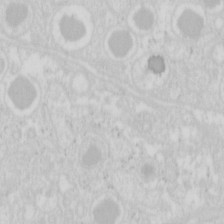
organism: Mouse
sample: Pancreas